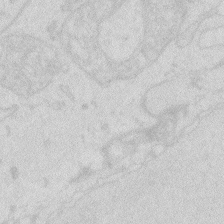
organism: Zebrafish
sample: Macrophage